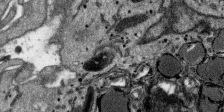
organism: Human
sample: Lung epithelial cells, uninfected (mock) control